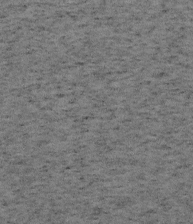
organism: Mouse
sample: OT-I killer T cells with ID8 ovarian cancer cells